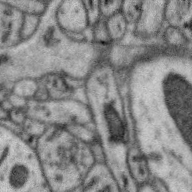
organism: Zebra finch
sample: Brain